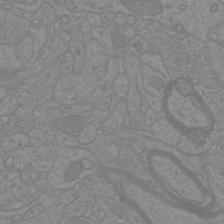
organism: Mouse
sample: Cortical neurons